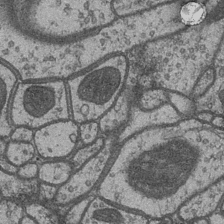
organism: Drosophila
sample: Optic medulla